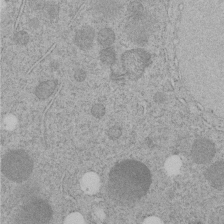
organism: C. elegans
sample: C. elegans embryo early stage